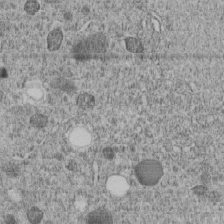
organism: C. elegans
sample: C. elegans embryo early stage